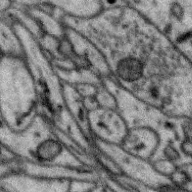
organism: Zebra finch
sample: Brain